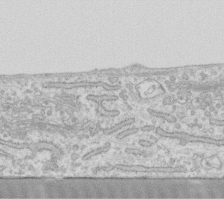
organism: Human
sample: Fibroblast cells